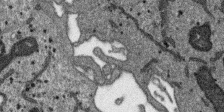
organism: Human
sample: Lung epithelial cells infected with SARS-CoV-2